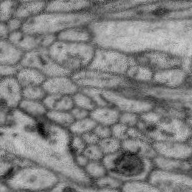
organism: Zebra finch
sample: Brain